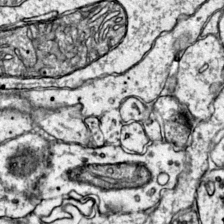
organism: Mouse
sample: Primary visual cortex